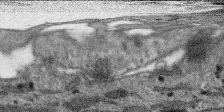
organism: Human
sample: Lung epithelial cells infected with SARS-CoV-2